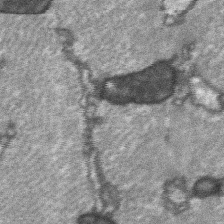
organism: C57BL Mouse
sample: Soleus